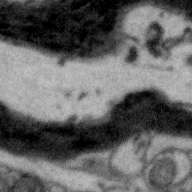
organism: Zebra finch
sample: Brain